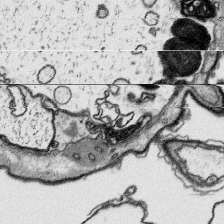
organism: Platynereis dumerilii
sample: Parapodia